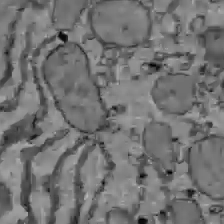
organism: C57BL Mouse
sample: Liver